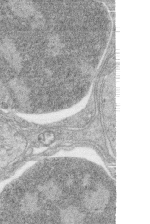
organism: Zebrafish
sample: synaptic ribbons in rod cells and cone cells